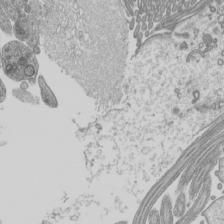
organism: Mouse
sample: Cilia; mouse epididymis